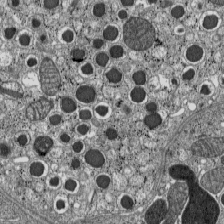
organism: C57BL Mouse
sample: Pancreatic islet